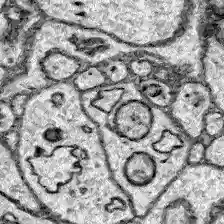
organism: Zebrafish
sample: Brain